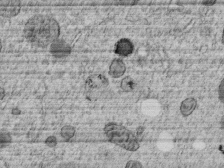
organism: C. elegans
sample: C. elegans embryo early stage